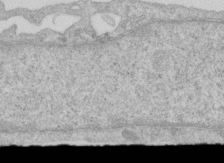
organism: Human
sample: Centriole in RPE cells